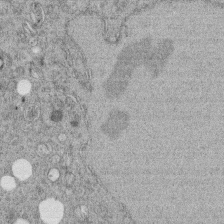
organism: C. elegans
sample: C. elegans embryo early stage